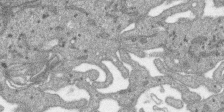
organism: Human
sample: Lung epithelial cells infected with SARS-CoV-2